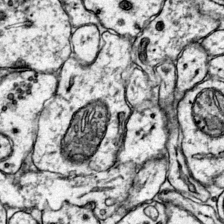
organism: Mouse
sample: Primary visual cortex